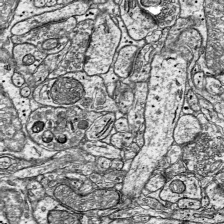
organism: Mouse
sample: Visual Cortex